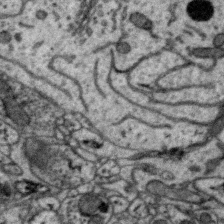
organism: Zebra finch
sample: Brain